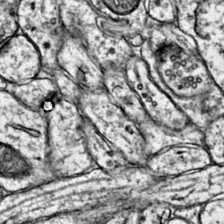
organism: Mouse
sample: Primary visual cortex